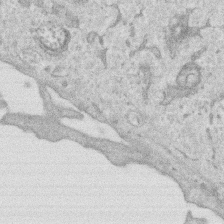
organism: Human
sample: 1205lu cells